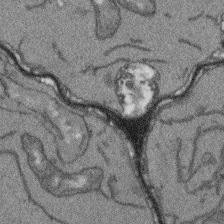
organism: Arabidopsis thaliana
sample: Root tip